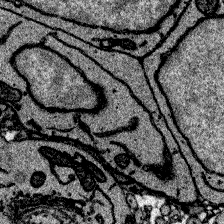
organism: Zebrafish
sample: Larval olfactory bulb